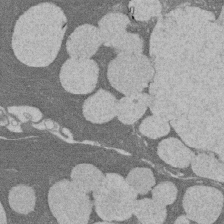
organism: Rat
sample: Salivary granule